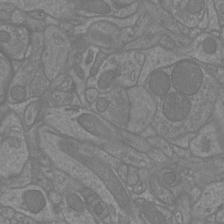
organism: Mouse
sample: Cortical neurons